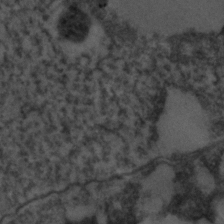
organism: C. elegans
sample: C. elegans embryo